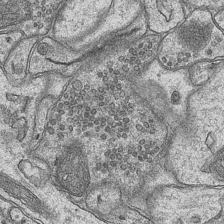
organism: Mouse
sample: CA1 Hippocampus